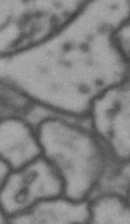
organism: Drosophila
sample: Brain